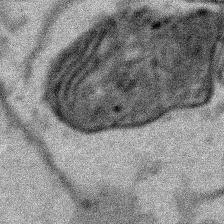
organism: Human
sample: Mitochondria in HCT116 cells